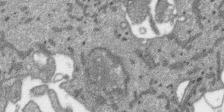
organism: Human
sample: Lung epithelial cells infected with SARS-CoV-2